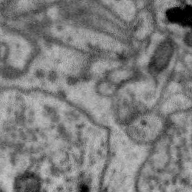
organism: Zebra finch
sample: Brain